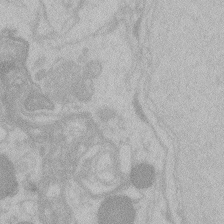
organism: Zebrafish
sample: Macrophage infected with Toxoplasma gondii